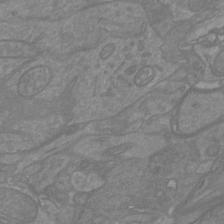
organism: Mouse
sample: Cortical neurons